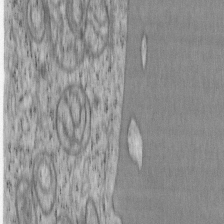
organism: Human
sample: HeLa cells